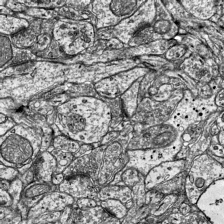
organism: Mouse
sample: Visual Cortex